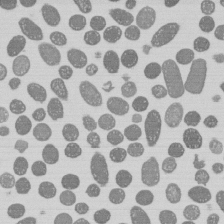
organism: E. coli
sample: Bacterial nucleoid